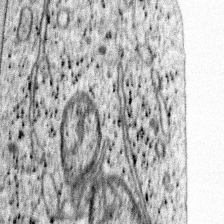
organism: Human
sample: HeLa cells